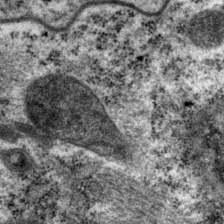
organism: P. pacificus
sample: Pharynx